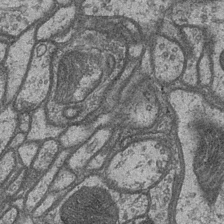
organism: Drosophila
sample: Optic medulla